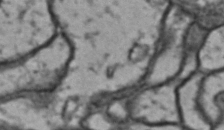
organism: Drosophila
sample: Brain